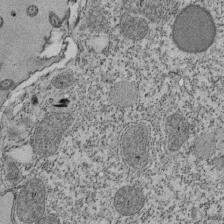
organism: Tetrahymena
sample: Cilia in tetrahymena